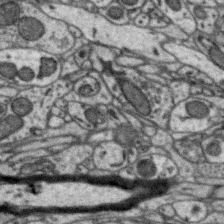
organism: Zebra finch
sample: Brain